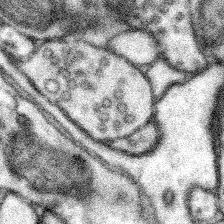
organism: Mouse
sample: Somatosensory cortex neuropil